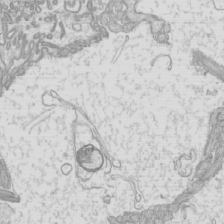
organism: Mouse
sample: Cilia; mouse epididymis